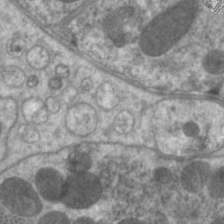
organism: C. elegans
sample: Pharynx